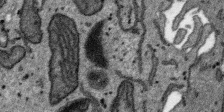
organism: Human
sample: Lung epithelial cells, uninfected (mock) control